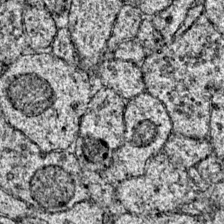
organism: Mouse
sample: Primary visual cortex